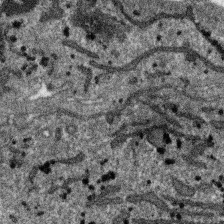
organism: Human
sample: Lung epithelial cells infected with SARS-CoV-2